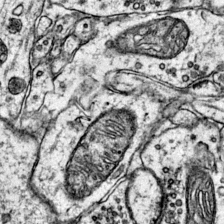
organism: Mouse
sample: Primary visual cortex